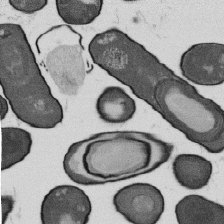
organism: B. subtilis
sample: Bacterial spore